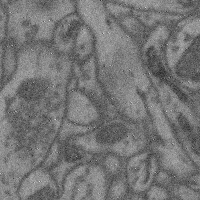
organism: Mouse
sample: Cerebral cortex